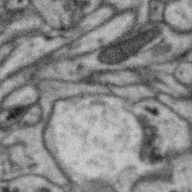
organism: Zebra finch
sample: Brain